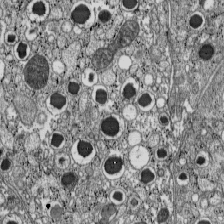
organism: C57BL Mouse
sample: Pancreatic islet